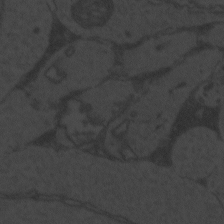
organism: Zebrafish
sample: Macrophage infected with Toxoplasma gondii